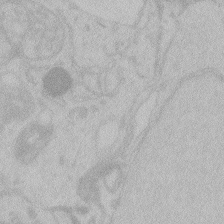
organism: Zebrafish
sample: Macrophage infected with Toxoplasma gondii